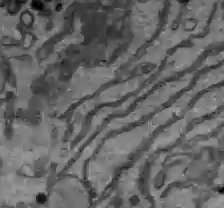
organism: C57BL Mouse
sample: Liver